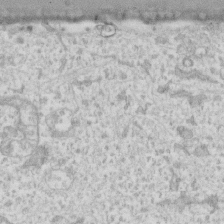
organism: Human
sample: Fibroblast cells